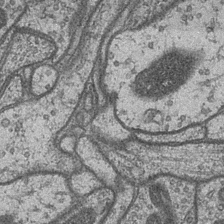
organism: Drosophila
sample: Optic medulla